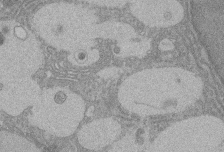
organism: Rat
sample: Salivary granule